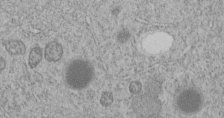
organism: C. elegans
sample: C. elegans embryo early stage